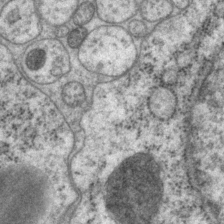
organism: P. pacificus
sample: Pharynx